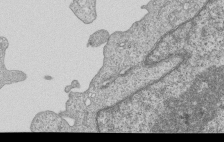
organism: Human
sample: MDA-MB-231 cells